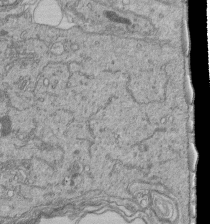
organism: Human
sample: Retinal organoid Rod and Cone cells